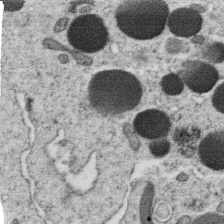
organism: C. elegans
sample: C. elegans oocyte; sperm cells